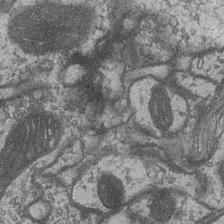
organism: Drosophila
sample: Optic medulla